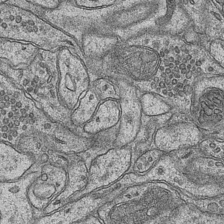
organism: Mouse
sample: CA1 Hippocampus